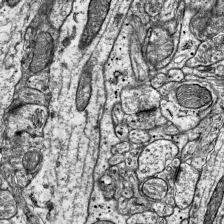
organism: Mouse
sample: Visual Cortex